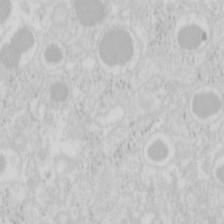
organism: Mouse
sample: Pancreas